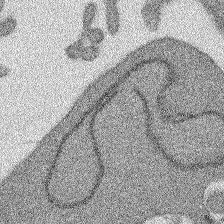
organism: Human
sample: HeLa cells